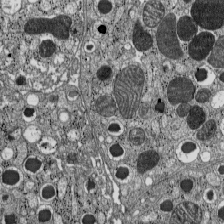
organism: C57BL Mouse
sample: Pancreatic islet